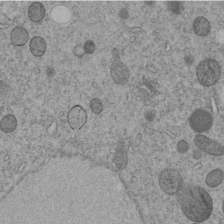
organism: C. elegans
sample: C. elegans embryo early stage